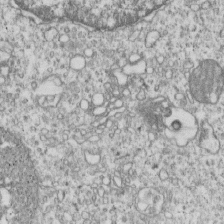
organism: Human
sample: MDA-MB-231 cells